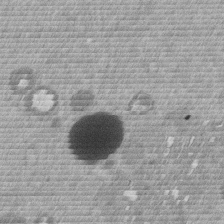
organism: Mouse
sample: Dividing mouse embryo 1 cell stage